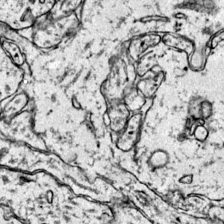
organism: Mouse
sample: Primary visual cortex